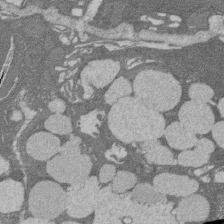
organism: Rat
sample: Salivary granule